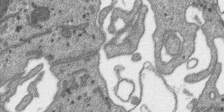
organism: Human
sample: Lung epithelial cells infected with SARS-CoV-2